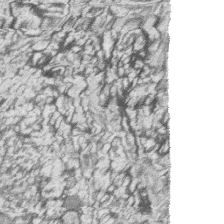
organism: Zebrafish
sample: synaptic ribbons in rod cells and cone cells